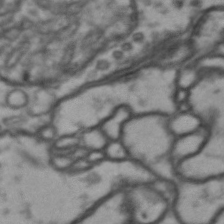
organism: Drosophila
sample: Brain